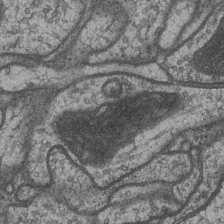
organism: Drosophila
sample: Optic medulla